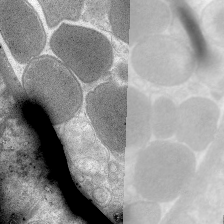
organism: C. elegans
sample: Pharynx